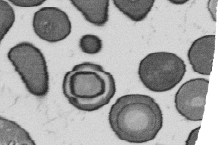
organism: B. subtilis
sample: Bacterial spore